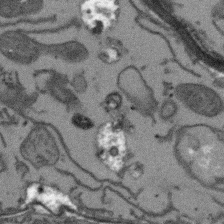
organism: Arabidopsis thaliana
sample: Root tip